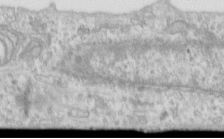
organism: Human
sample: Centriole in RPE cells